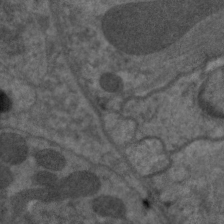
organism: C. elegans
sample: Pharynx